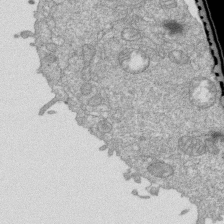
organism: Human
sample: HeLa cell HIV synapse